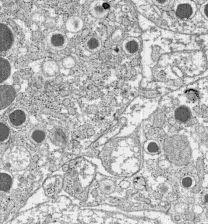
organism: C57BL Mouse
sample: Pancreatic islet